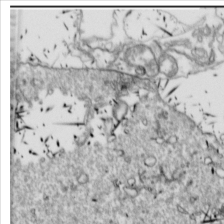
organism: Drosophila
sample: Cell division; meiosis; drosophila spermatocytes